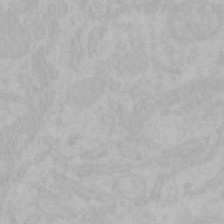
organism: Mouse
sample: Choroid plexus